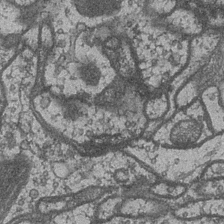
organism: Drosophila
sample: Optic medulla